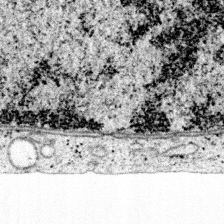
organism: Human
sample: HeLa cells